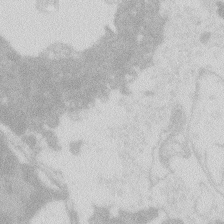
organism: Zebrafish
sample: Macrophage